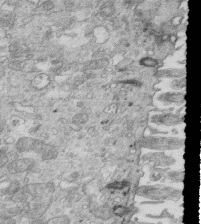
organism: Mouse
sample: Multiciliated cells